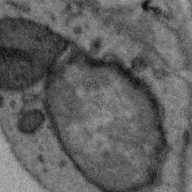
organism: Zebra finch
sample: Brain